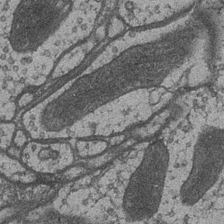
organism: Drosophila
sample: Optic medulla